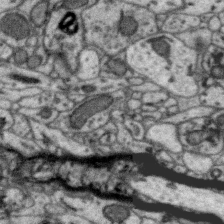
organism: Zebra finch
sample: Brain